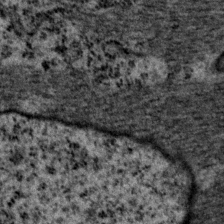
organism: P. pacificus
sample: Pharynx